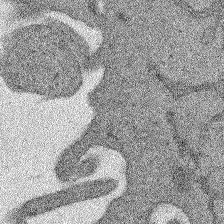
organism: Human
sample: HeLa cells